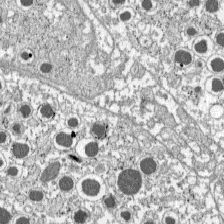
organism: C57BL Mouse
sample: Pancreatic islet